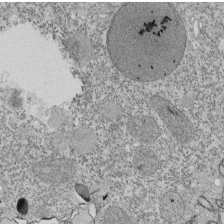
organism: Tetrahymena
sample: Cilia in tetrahymena